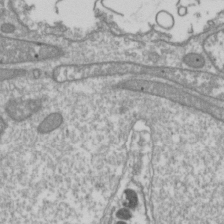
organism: Drosophila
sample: Cell division; meiosis; drosophila spermatocytes